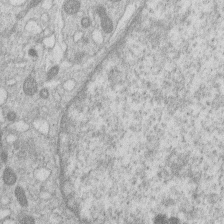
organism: Human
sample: Macrophage cells